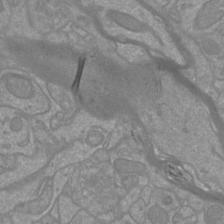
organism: Mouse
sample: Cortical neurons